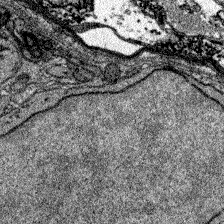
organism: Zebrafish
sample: Larval olfactory bulb